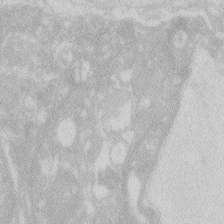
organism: Zebrafish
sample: Macrophage